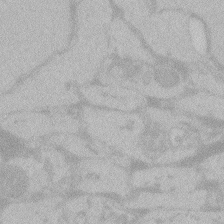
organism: Zebrafish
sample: Macrophage infected with Toxoplasma gondii